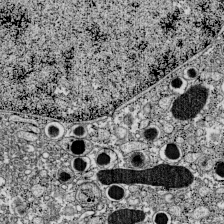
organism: C57BL Mouse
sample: Pancreatic islet